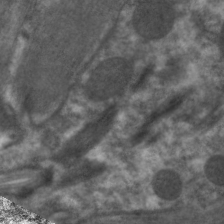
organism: C. elegans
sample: Pharynx